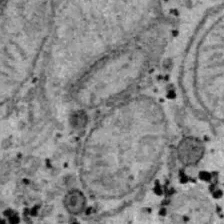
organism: Mouse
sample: Liver from an obese (ob/ob) mouse